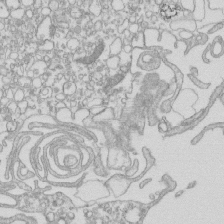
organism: Mouse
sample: Macrophages